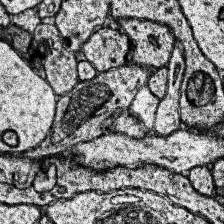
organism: Human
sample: Temporal Lobe